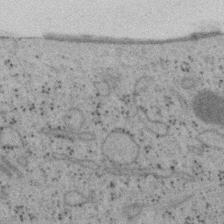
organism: Human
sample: HeLa cells